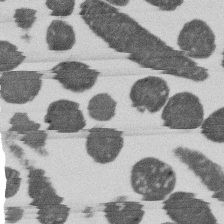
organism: E. coli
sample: Bacterial nucleoid